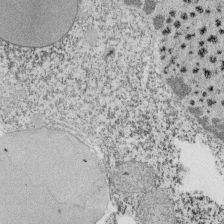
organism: Tetrahymena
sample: Cilia in tetrahymena